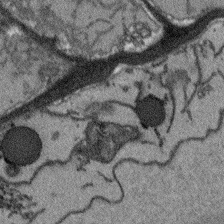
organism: Arabidopsis thaliana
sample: Root tip